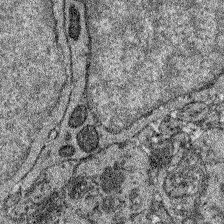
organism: Zebrafish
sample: Larval olfactory bulb